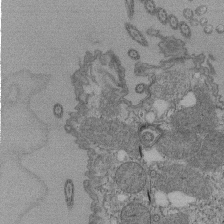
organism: Tetrahymena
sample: Cilia in tetrahymena